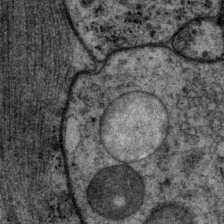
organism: P. pacificus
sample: Pharynx